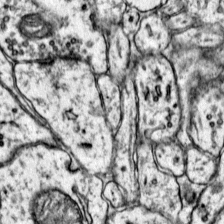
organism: Mouse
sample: Primary visual cortex